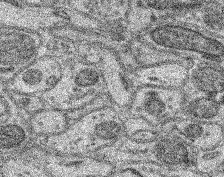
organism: Mouse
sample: Retina